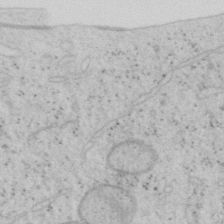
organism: Human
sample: HeLa cells